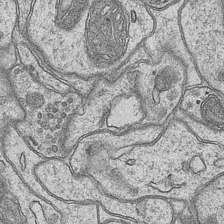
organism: Mouse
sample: CA1 Hippocampus